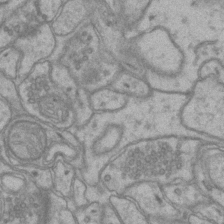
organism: Mouse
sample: CA1 Hippocampus